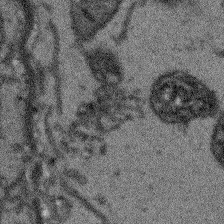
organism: Arabidopsis thaliana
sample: Root tip